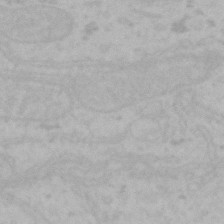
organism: Mouse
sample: Choroid plexus